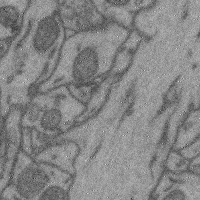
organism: Mouse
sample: Cerebral cortex